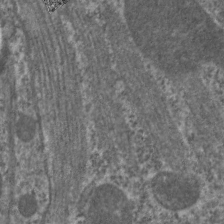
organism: C. elegans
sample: Pharynx